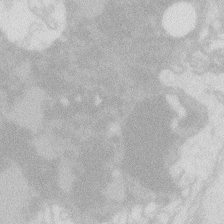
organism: Zebrafish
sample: Macrophage